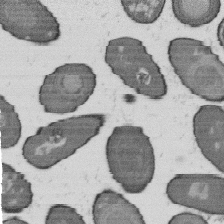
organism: B. subtilis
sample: Bacterial spore